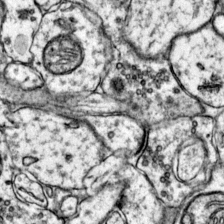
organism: Mouse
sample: Primary visual cortex